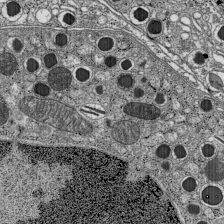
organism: C57BL Mouse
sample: Pancreatic islet